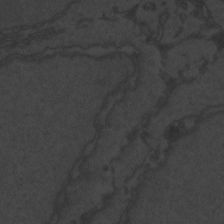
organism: Zebrafish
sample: Macrophage infected with Toxoplasma gondii